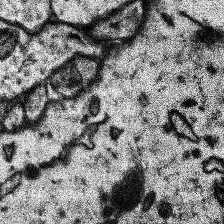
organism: Human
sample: Temporal Lobe